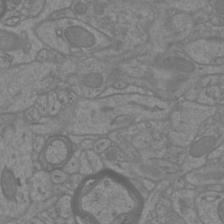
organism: Mouse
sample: Cortical neurons